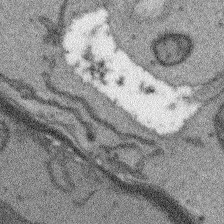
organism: Arabidopsis thaliana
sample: Root tip